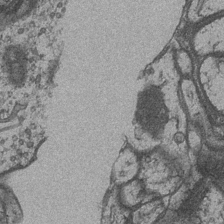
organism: Drosophila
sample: Optic medulla